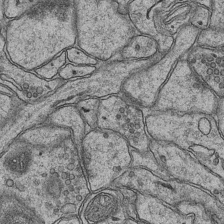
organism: Mouse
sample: CA1 Hippocampus